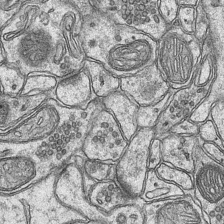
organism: Mouse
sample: CA1 Hippocampus